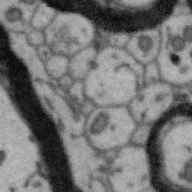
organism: Zebra finch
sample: Brain